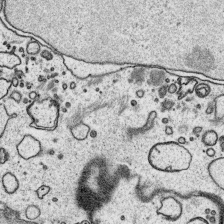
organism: Platynereis dumerilii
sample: Parapodia